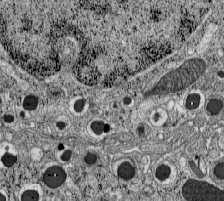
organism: C57BL Mouse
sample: Pancreatic islet